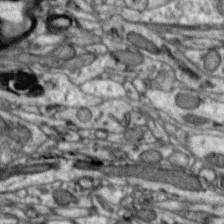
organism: Zebra finch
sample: Brain